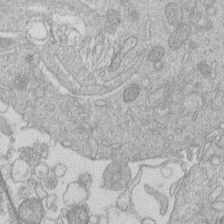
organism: Human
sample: Macrophage cells